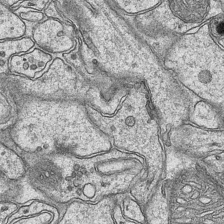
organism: Mouse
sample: CA1 Hippocampus